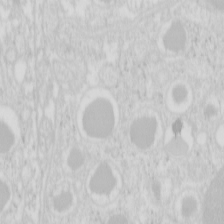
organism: Mouse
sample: Pancreas